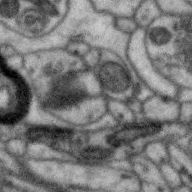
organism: Zebra finch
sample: Brain